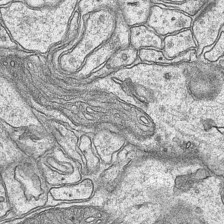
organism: Mouse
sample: CA1 Hippocampus